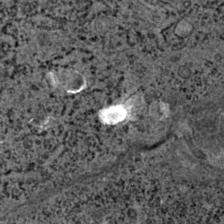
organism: C. elegans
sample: C. elegans embryo